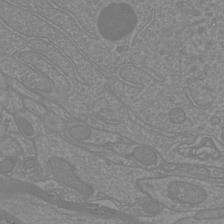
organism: Mouse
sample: Cortical neurons